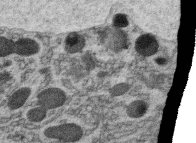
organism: C. elegans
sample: C. elegans oocyte; sperm cells